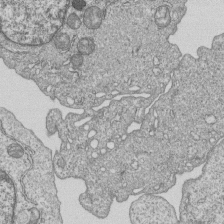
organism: Human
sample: MDA-MB-231 cells